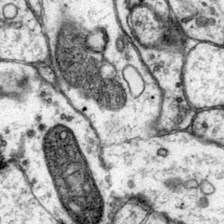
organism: Mouse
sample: Primary visual cortex